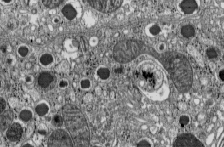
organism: C57BL Mouse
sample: Pancreatic islet